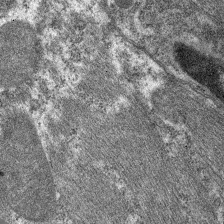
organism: C. elegans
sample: Pharynx